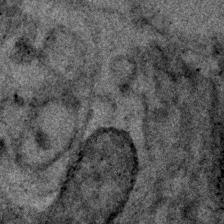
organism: Human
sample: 1205lu cells